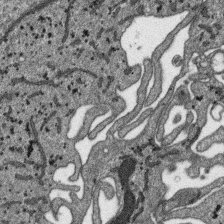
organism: Human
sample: Lung epithelial cells infected with SARS-CoV-2